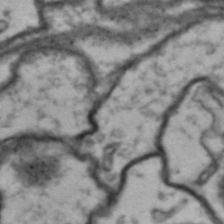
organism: Drosophila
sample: Brain